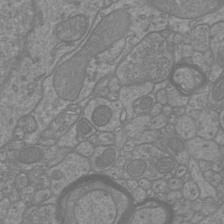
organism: Mouse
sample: Cortical neurons